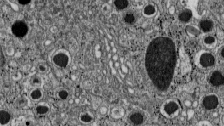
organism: C57BL Mouse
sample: Pancreatic islet